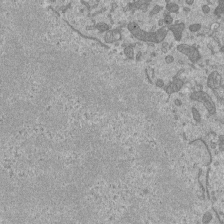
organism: Mouse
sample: ED-1 cell nuclei; centrioles